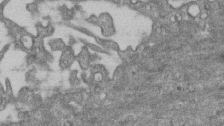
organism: Mouse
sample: Centriole in ependymal cells